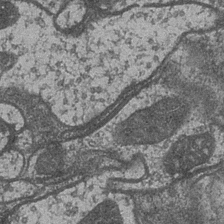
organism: Drosophila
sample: Optic medulla